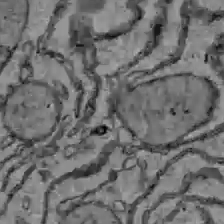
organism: C57BL Mouse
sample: Liver